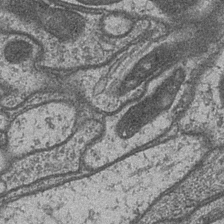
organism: Drosophila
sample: Optic medulla